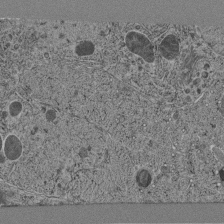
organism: C. elegans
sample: C. elegans pharynx